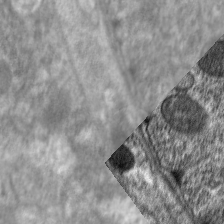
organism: C. elegans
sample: Pharynx